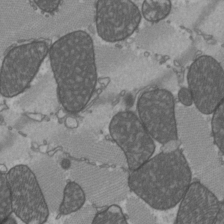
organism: C57BL Mouse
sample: Heart